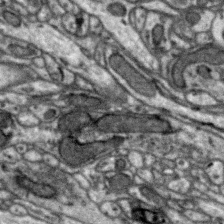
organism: Zebra finch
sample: Brain